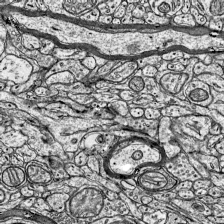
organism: Mouse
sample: Visual Cortex